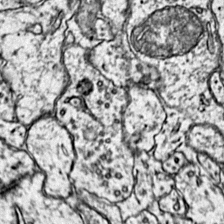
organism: Mouse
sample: Primary visual cortex